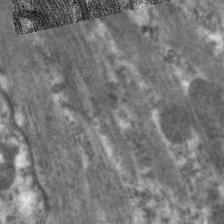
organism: C. elegans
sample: Pharynx